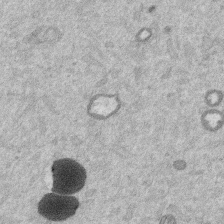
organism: Mouse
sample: Dividing mouse embryo 1 cell stage